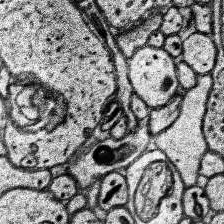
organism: Human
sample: Temporal Lobe